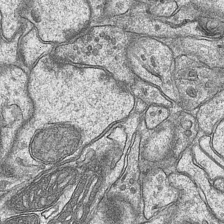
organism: Mouse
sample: CA1 Hippocampus